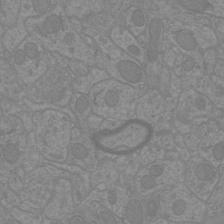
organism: Mouse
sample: Cortical neurons